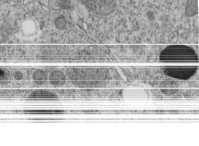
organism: C. elegans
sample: C. elegans embryo early stage